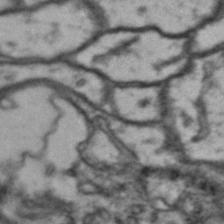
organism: Drosophila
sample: Brain